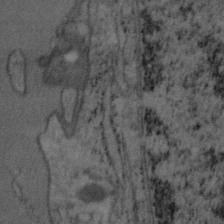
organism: Human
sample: HeLa cells